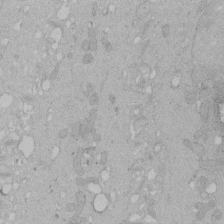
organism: Human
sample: Melanocyte Keratinocyte synapse skin construct